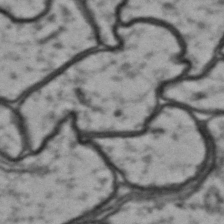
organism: Drosophila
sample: Brain